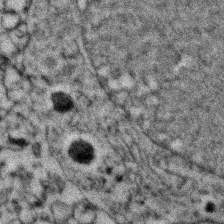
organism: Zebrafish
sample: Zebrafish embryo